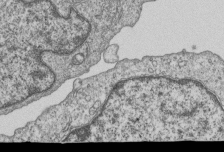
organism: Human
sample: MDA-MB-231 cells